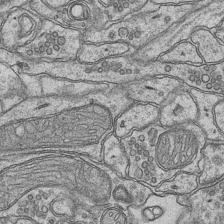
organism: Mouse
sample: CA1 Hippocampus